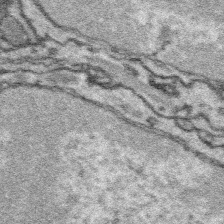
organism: Platynereis dumerilii